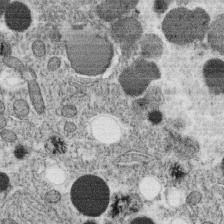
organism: C. elegans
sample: C. elegans oocyte; sperm cells